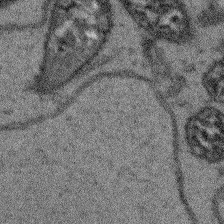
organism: Arabidopsis thaliana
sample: Root tip